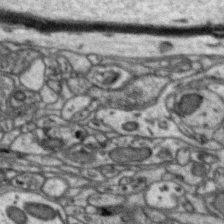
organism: Zebra finch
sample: Brain